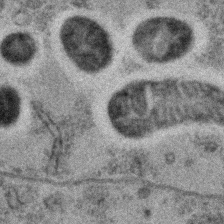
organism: C. elegans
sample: C. elegans embryo